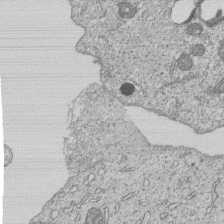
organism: Human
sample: MDA-MB-231 cells